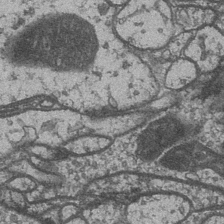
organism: Drosophila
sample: Optic medulla